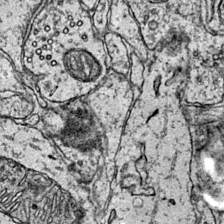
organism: Mouse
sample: Primary visual cortex